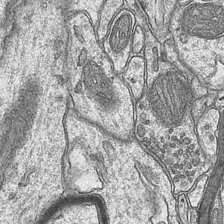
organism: Mouse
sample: CA1 Hippocampus